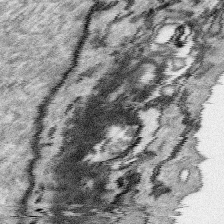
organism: Human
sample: HeLa cells